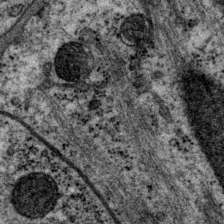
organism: P. pacificus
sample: Pharynx